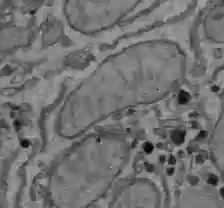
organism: C57BL Mouse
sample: Liver